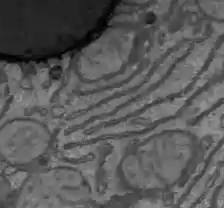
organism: C57BL Mouse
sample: Liver